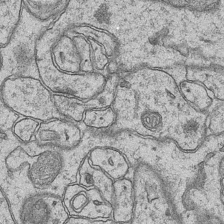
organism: Mouse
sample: CA1 Hippocampus